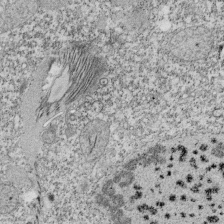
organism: Tetrahymena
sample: Cilia in tetrahymena